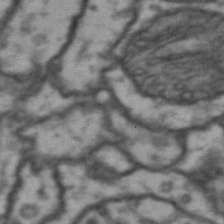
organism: Drosophila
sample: Brain